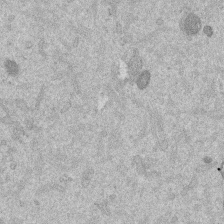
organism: Mouse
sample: Dividing mouse embryo 1 cell stage